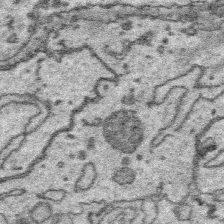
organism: Platynereis dumerilii